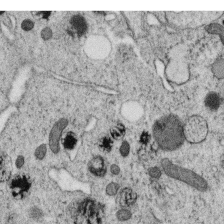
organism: C. elegans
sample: C. elegans oocyte; sperm cells